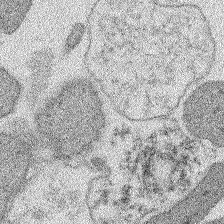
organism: Human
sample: HeLa cells